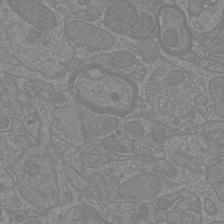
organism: Mouse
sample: Cortical neurons